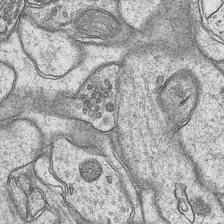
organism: Mouse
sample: CA1 Hippocampus